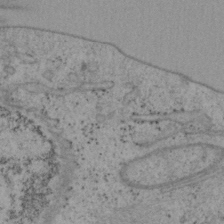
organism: Human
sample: HeLa cells